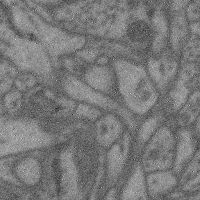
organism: Mouse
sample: Cerebral cortex